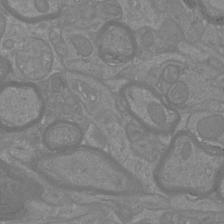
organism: Mouse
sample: Cortical neurons